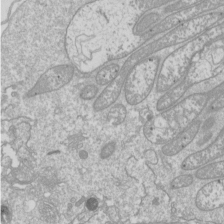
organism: Drosophila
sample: Cell division; meiosis; drosophila spermatocytes